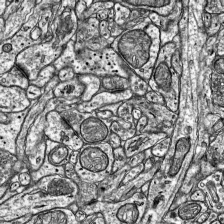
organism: Mouse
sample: Visual Cortex